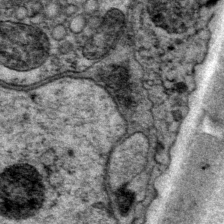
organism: P. pacificus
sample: Pharynx